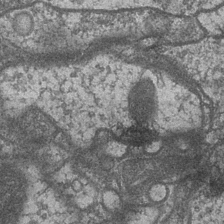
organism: Drosophila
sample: Optic medulla